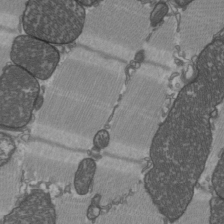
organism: C57BL Mouse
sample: Heart